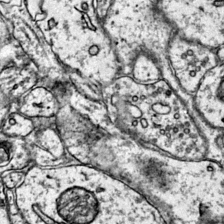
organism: Mouse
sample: Primary visual cortex